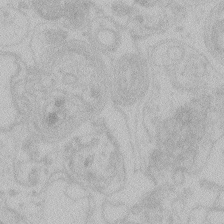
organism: Zebrafish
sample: Macrophage infected with Toxoplasma gondii